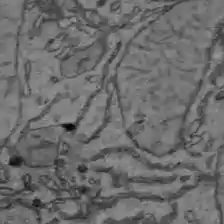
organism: C57BL Mouse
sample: Liver